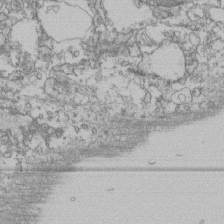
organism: Human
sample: Fibroblast cells